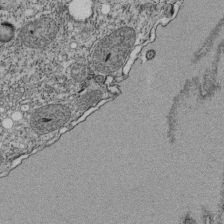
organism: Tetrahymena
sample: Cilia in tetrahymena